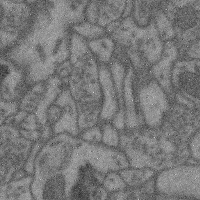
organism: Mouse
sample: Cerebral cortex